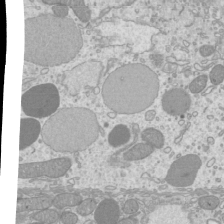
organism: Mouse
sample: Cilia; mouse epididymis